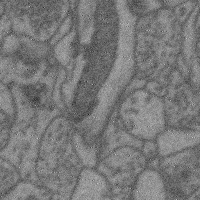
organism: Mouse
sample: Cerebral cortex